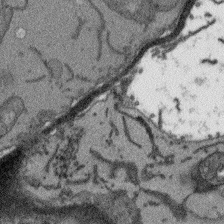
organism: Arabidopsis thaliana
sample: Root tip